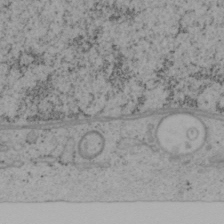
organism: Human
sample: HeLa cells